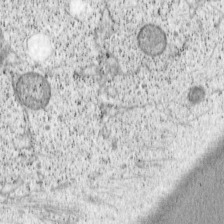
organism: African green monkey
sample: COS-7 cells